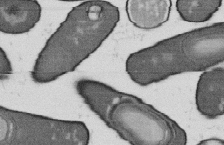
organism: B. subtilis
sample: Bacterial spore